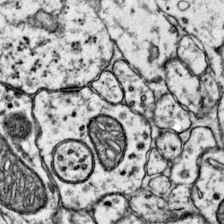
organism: Mouse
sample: Primary visual cortex